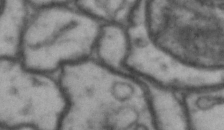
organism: Drosophila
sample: Brain